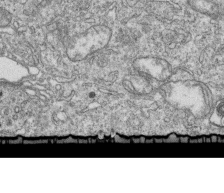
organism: Human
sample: HeLa cell HIV synapse